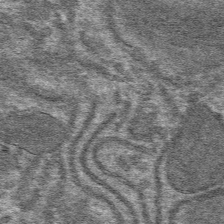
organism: Mouse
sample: Mouse hepatocytes